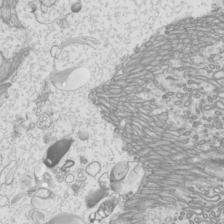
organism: Mouse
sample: Cilia; mouse epididymis